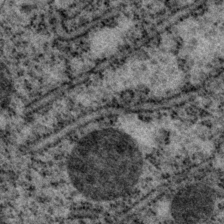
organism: P. pacificus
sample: Pharynx